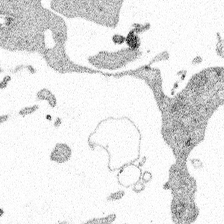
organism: Spongilla lacustris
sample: Multiple